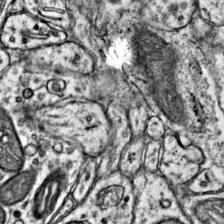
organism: Mouse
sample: Primary visual cortex